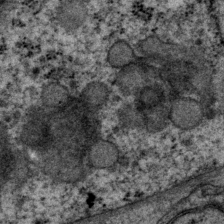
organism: P. pacificus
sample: Pharynx